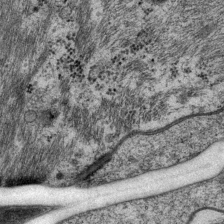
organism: P. pacificus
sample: Pharynx